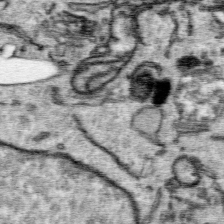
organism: Human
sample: HeLa cells